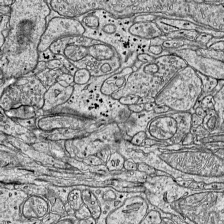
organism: Mouse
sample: Visual Cortex